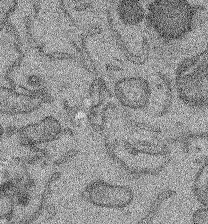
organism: Human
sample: HeLa cells